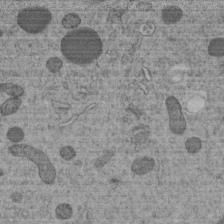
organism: C. elegans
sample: C. elegans embryo early stage